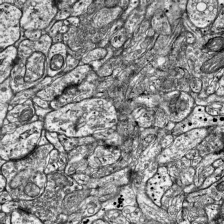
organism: Mouse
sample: Visual Cortex